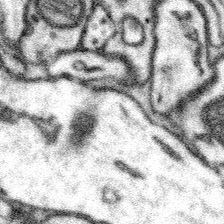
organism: Mouse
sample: Somatosensory cortex neuropil